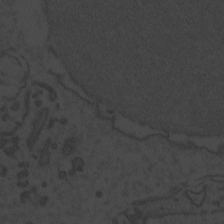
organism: Zebrafish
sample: Macrophage infected with Toxoplasma gondii